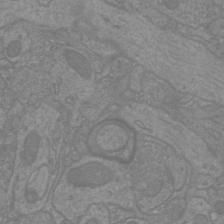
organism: Mouse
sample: Cortical neurons